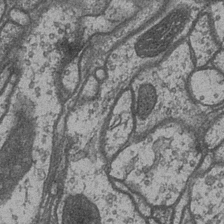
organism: Drosophila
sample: Optic medulla